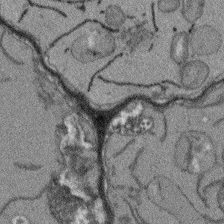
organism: Arabidopsis thaliana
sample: Root tip